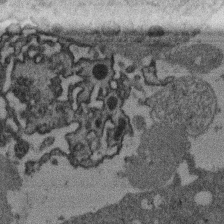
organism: Mouse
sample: Dividing mouse embryo 1 cell stage